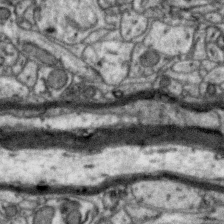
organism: Zebra finch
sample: Brain